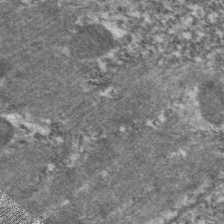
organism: C. elegans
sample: Pharynx